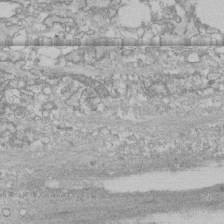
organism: Human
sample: CRL-1474